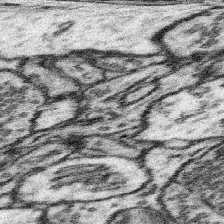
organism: Mouse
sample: Somatosensory cortex neuropil